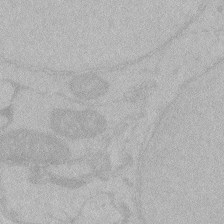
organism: Zebrafish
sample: Macrophage infected with Toxoplasma gondii